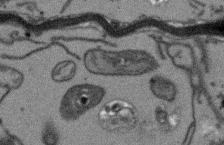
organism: Arabidopsis thaliana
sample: Root tip